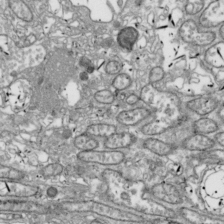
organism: Drosophila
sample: Cell division; meiosis; drosophila spermatocytes